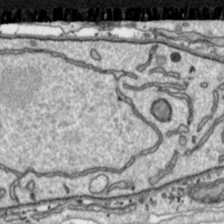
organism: Toxoplasma gondii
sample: Parasites in a vacuole inside a host cell